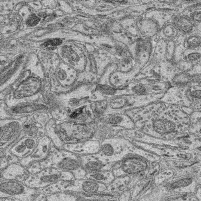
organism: Mouse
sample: Retina